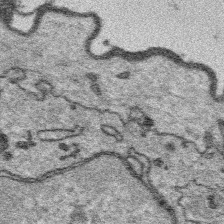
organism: Platynereis dumerilii